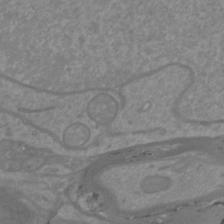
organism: Mouse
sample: Cortical neurons